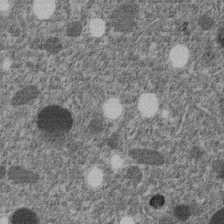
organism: C. elegans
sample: C. elegans embryo early stage